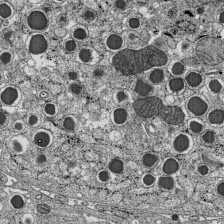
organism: C57BL Mouse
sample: Pancreatic islet